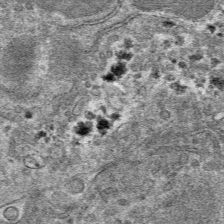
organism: Mouse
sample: Mouse hepatocytes